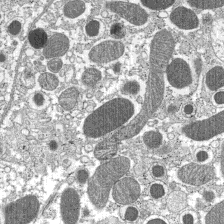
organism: C57BL Mouse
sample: Pancreatic islet